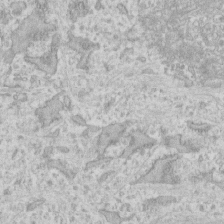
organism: Human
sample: Fibroblast cells